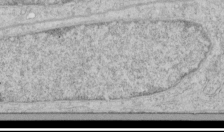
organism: Human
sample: Mitochondria in HCT116 cells